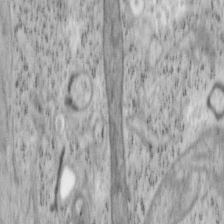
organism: Human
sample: HeLa cells